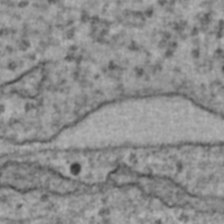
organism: Human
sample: Blood